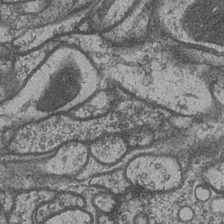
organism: Drosophila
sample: Optic medulla